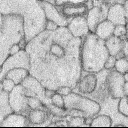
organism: Rabbit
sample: Retina